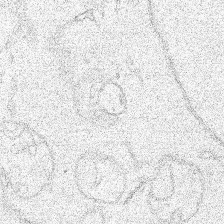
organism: Human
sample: Mitochondria in HCT116 cells